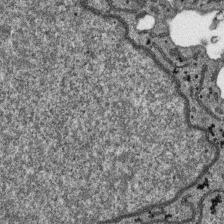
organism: Human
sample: Lung epithelial cells infected with SARS-CoV-2